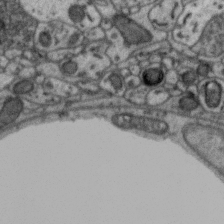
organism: Zebra finch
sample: Brain